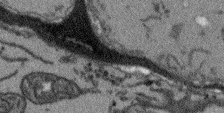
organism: Arabidopsis thaliana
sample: Root tip